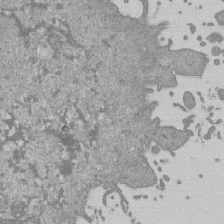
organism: Mouse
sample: ED-1 cell nuclei; centrioles